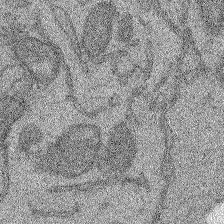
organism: Human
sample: HeLa cells